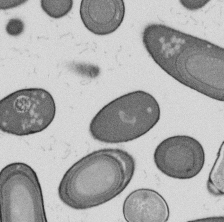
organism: B. subtilis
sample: Bacterial spore